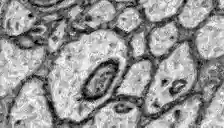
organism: Zebrafish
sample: Brain